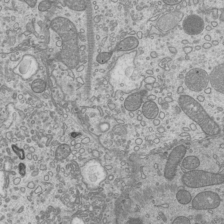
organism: Mouse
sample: Cilia; mouse epididymis